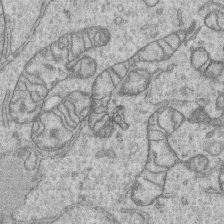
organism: Human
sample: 1205lu cells